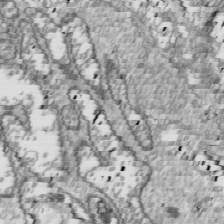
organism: Drosophila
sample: Cell division; meiosis; drosophila spermatocytes